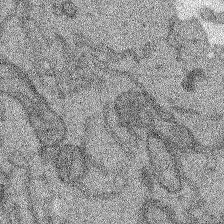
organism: Human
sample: HeLa cells